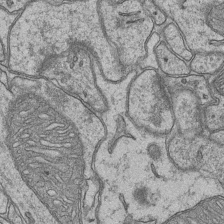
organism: Mouse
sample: CA1 Hippocampus